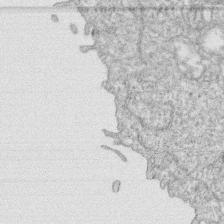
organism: Human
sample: HeLa cell HIV synapse